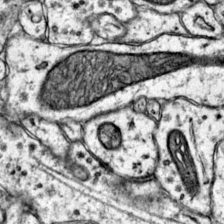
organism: Mouse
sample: Primary visual cortex